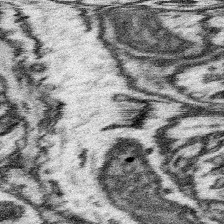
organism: Mouse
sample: Somatosensory cortex neuropil